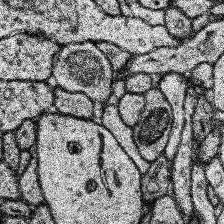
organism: Human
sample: Temporal Lobe